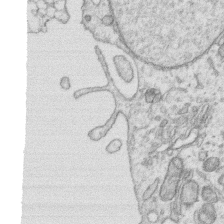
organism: Human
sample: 1205lu cells